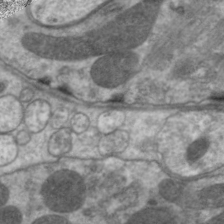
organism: C. elegans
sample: Pharynx